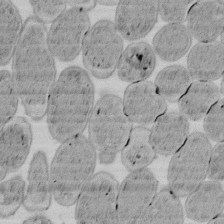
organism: E. coli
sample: Bacterial nucleoid